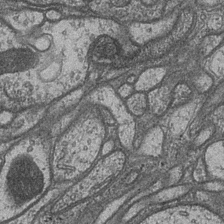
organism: Drosophila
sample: Optic medulla